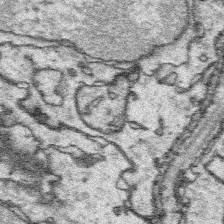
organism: Platynereis dumerilii